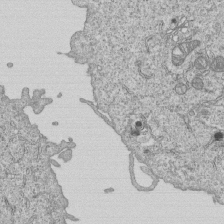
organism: Human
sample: MDA-MB-231 cells